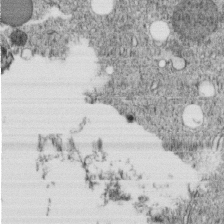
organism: C. elegans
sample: C. elegans embryo early stage